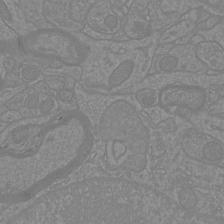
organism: Mouse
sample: Cortical neurons